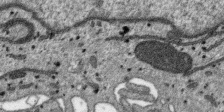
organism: Human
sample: Lung epithelial cells, uninfected (mock) control